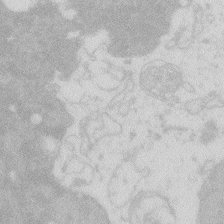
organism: Zebrafish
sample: Macrophage